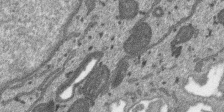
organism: Human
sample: Lung epithelial cells infected with SARS-CoV-2